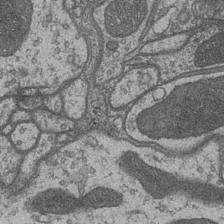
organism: Drosophila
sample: Optic medulla